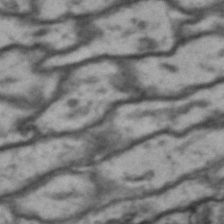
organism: Drosophila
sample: Brain